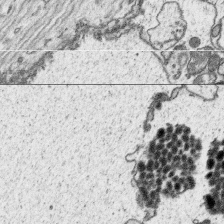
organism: Platynereis dumerilii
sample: Parapodia